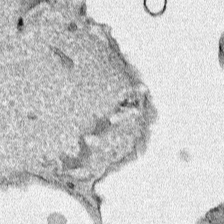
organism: Human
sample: Mitochondria in HCT116 cells